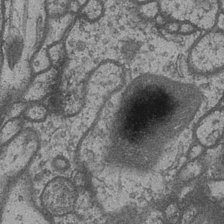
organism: Drosophila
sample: Optic medulla